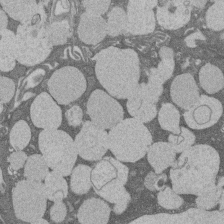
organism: Rat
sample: Salivary granule